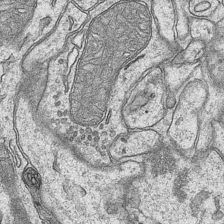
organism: Mouse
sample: CA1 Hippocampus